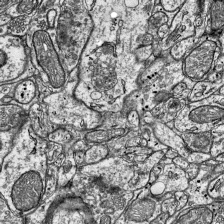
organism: Mouse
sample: Visual Cortex